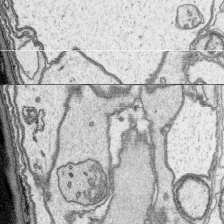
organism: Platynereis dumerilii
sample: Parapodia